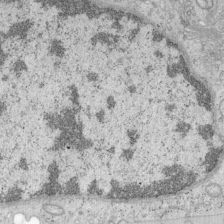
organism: Mouse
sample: OT-I killer T cells with ID8 ovarian cancer cells